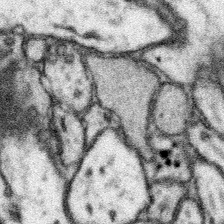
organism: Mouse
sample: Somatosensory cortex neuropil